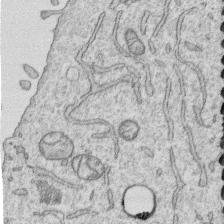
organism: Human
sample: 1205lu cells